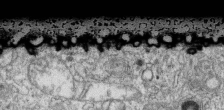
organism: Human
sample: HeLa cell HIV synapse